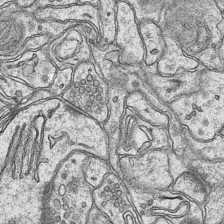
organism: Mouse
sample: CA1 Hippocampus